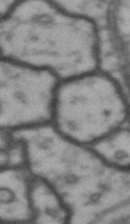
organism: Drosophila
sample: Brain